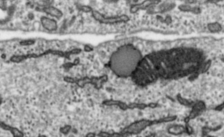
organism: Toxoplasma gondii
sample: Parasites in a vacuole inside a host cell